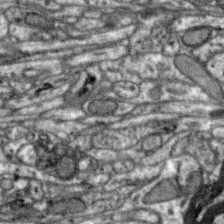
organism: Zebra finch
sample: Brain